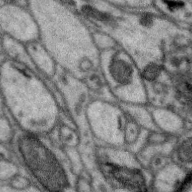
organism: Zebra finch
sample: Brain